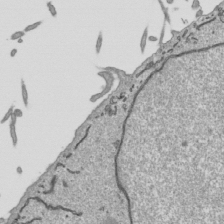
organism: Human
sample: Mitochondria in HCT116 cells